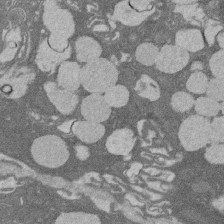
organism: Rat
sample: Salivary granule